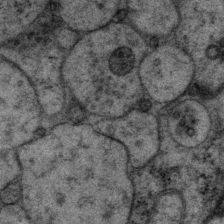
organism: P. pacificus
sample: Pharynx